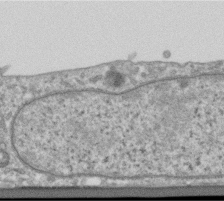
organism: Human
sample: Centriole in RPE cells